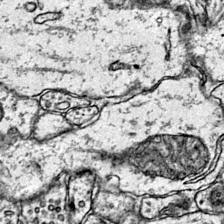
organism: Mouse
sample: Primary visual cortex